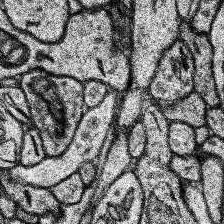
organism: Human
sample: Temporal Lobe